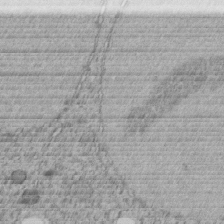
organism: C. elegans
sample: C. elegans embryo early stage